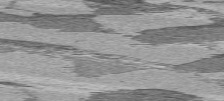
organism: C57BL Mouse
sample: Heart